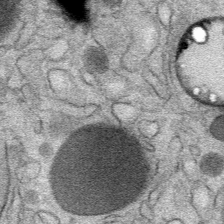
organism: Mouse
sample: Mouse Salivary gland